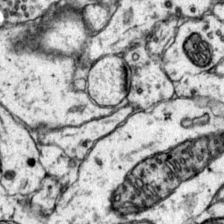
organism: Mouse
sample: Primary visual cortex